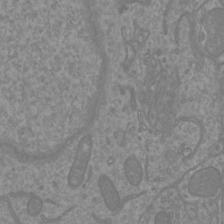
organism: Mouse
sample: Cortical neurons